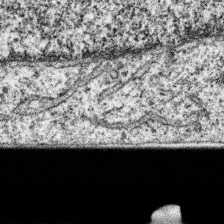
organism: Human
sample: HeLa cells